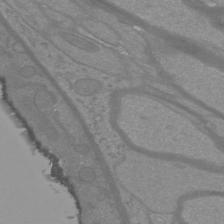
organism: Mouse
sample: Cortical neurons